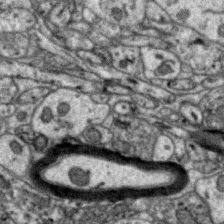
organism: Zebra finch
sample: Brain